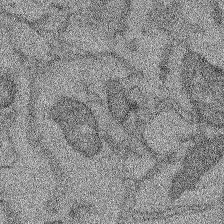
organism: Human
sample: HeLa cells